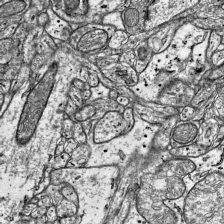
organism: Mouse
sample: Visual Cortex